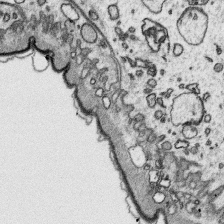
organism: Platynereis dumerilii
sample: Parapodia